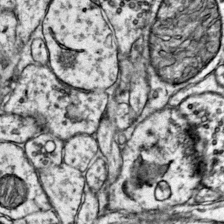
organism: Mouse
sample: Primary visual cortex